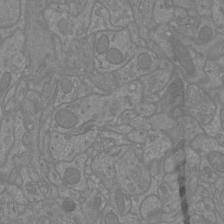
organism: Mouse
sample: Cortical neurons